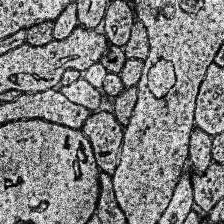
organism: Human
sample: Temporal Lobe